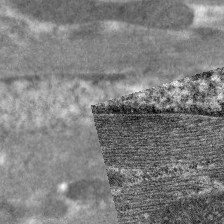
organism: C. elegans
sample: Pharynx